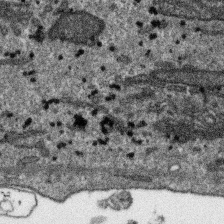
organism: Human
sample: Lung epithelial cells infected with SARS-CoV-2